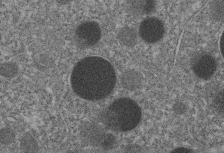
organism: C. elegans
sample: C. elegans embryo early stage